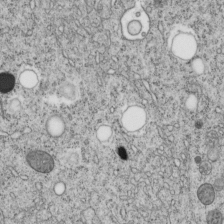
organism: C. elegans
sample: C. elegans embryo early stage